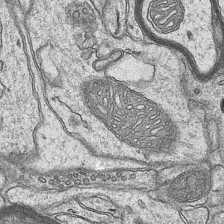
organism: Mouse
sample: CA1 Hippocampus